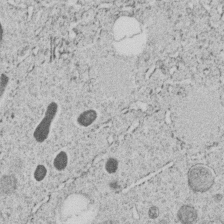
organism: C. elegans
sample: C. elegans embryo early stage